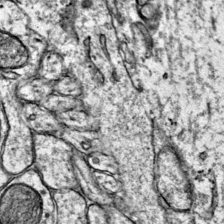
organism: Mouse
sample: Primary visual cortex